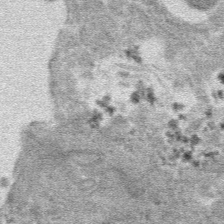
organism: Mouse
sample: Mouse hepatocytes